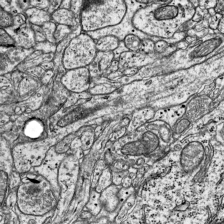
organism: Mouse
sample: Visual Cortex